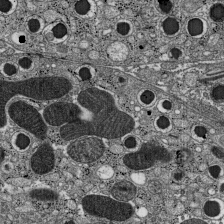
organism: C57BL Mouse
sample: Pancreatic islet